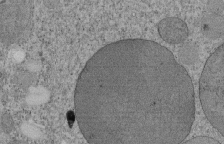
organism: Tetrahymena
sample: Cilia in tetrahymena